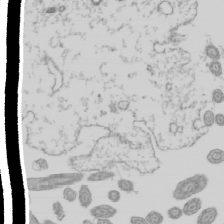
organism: Mouse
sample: Cilia; mouse epididymis